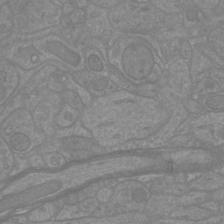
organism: Mouse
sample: Cortical neurons